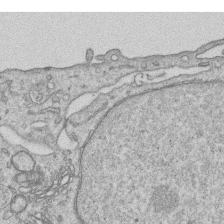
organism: Human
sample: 1205lu cells